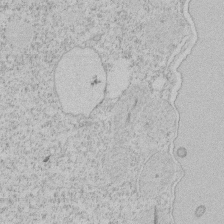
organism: Tetrahymena